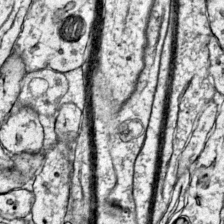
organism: Mouse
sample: Primary visual cortex